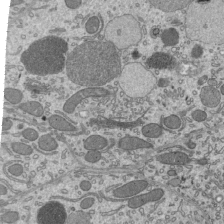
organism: Mouse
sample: Mouse epididymis efferent ductule cilia